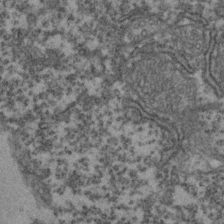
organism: Zebrafish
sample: Zebrafish embryo